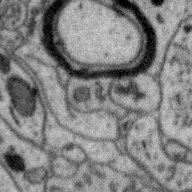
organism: Zebra finch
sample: Brain